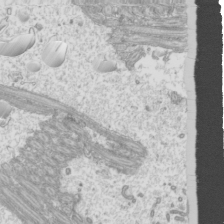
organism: Mouse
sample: Cilia; mouse epididymis